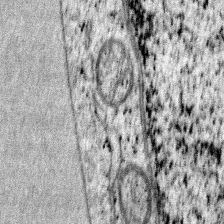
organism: Human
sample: HeLa cells